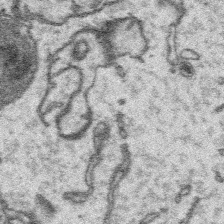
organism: Platynereis dumerilii